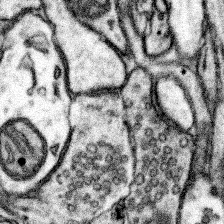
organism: Mouse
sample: Somatosensory cortex neuropil